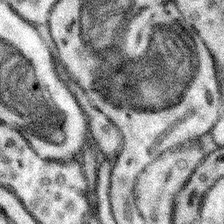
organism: Mouse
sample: Somatosensory cortex neuropil